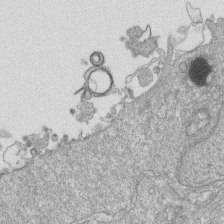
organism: Human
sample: HeLa cell HIV synapse